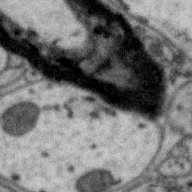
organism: Zebra finch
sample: Brain